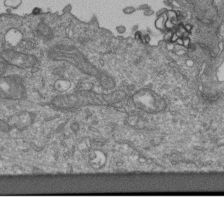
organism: Human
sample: Retinal organoid Rod and Cone cells